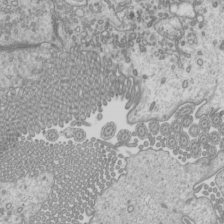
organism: Mouse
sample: Cilia; mouse epididymis